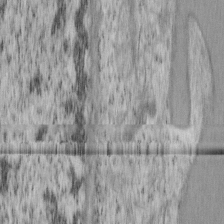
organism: Human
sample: HeLa cells